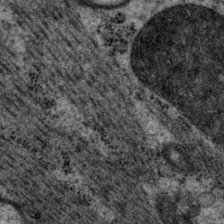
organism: P. pacificus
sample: Pharynx